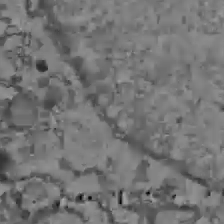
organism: C57BL Mouse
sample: Liver